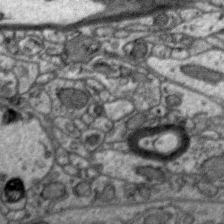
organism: Zebra finch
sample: Brain